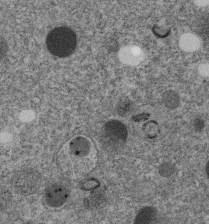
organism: C. elegans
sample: C. elegans embryo early stage